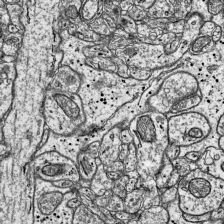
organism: Mouse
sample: Visual Cortex